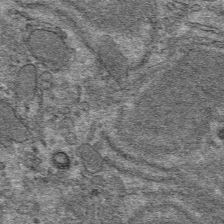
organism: Mouse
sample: Mouse hepatocytes